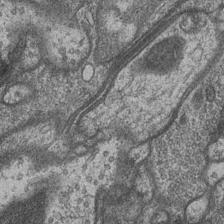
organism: Drosophila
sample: Optic medulla